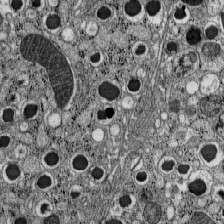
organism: C57BL Mouse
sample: Pancreatic islet